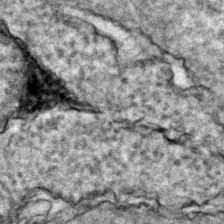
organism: Zebrafish